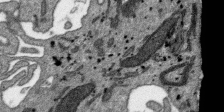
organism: Human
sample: Lung epithelial cells, uninfected (mock) control